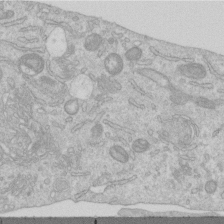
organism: Human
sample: Centriole in RPE cells